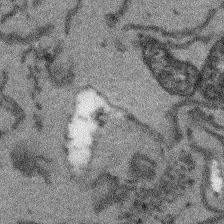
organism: Arabidopsis thaliana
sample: Root tip